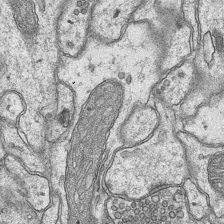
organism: Mouse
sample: CA1 Hippocampus